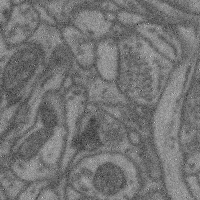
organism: Mouse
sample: Cerebral cortex